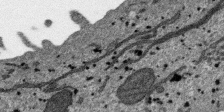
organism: Human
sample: Lung epithelial cells, uninfected (mock) control